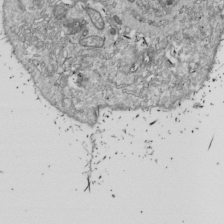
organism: Drosophila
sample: Cell division; meiosis; drosophila spermatocytes